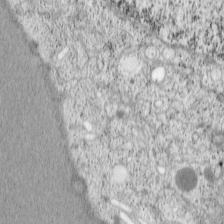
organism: African green monkey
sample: COS-7 cells